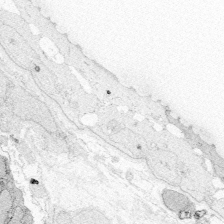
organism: Zebrafish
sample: Whole-Brain